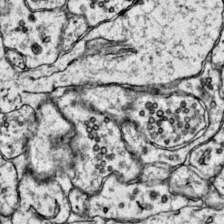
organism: Mouse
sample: Primary visual cortex